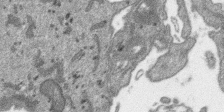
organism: Human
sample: Lung epithelial cells infected with SARS-CoV-2